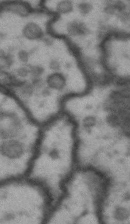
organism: Drosophila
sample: Brain